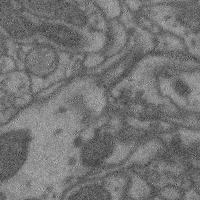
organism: Mouse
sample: Cerebral cortex